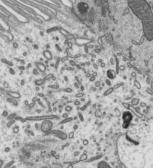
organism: Mouse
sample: Mouse epididymis efferent ductule cilia